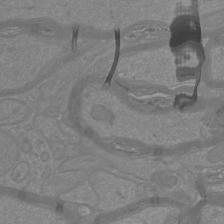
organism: Mouse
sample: Cortical neurons